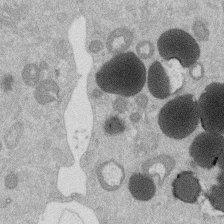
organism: Mouse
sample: Dividing mouse embryo 1 cell stage